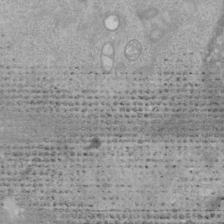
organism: Human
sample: Mitochondria in HCT116 cells